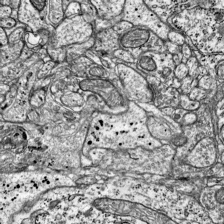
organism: Mouse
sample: Visual Cortex